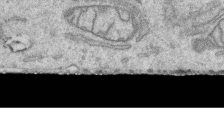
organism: Human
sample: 1205lu cells